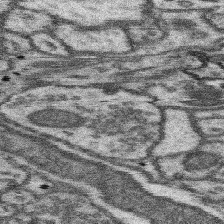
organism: Mouse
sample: Somatosensory cortex neuropil